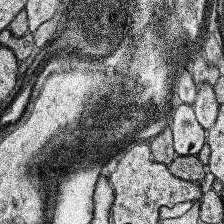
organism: Human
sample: Temporal Lobe